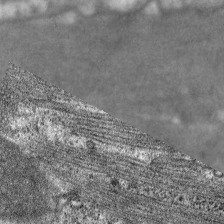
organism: C. elegans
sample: Pharynx